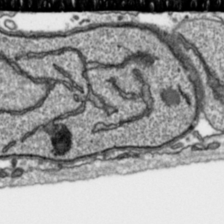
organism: Toxoplasma gondii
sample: Parasites in a vacuole inside a host cell